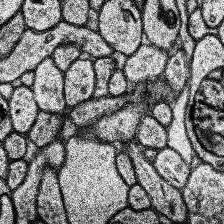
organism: Human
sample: Temporal Lobe